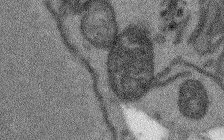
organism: Arabidopsis thaliana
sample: Root tip